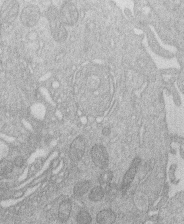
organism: Human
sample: Macrophage cells